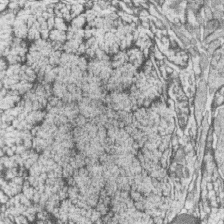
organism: Zebrafish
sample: synaptic ribbons in rod cells and cone cells